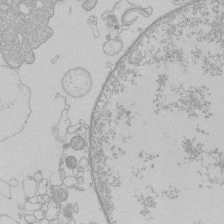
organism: Human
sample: Macrophage cells